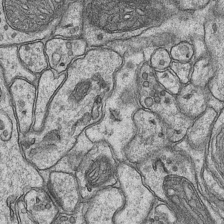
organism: Mouse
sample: CA1 Hippocampus